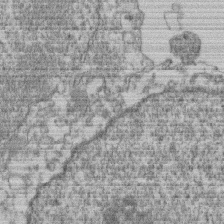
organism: Mouse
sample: T cell stromal cell synapse